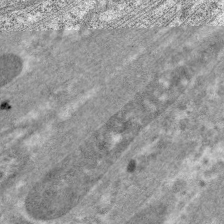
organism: C. elegans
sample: Pharynx